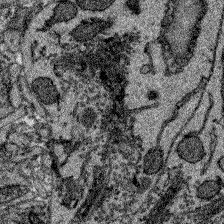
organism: Zebrafish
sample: Larval olfactory bulb